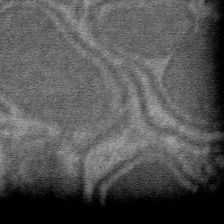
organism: Mouse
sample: Mouse hepatocytes